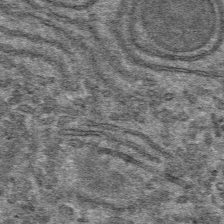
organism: Mouse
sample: Mouse hepatocytes